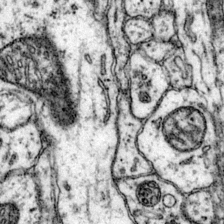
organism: Mouse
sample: Primary visual cortex